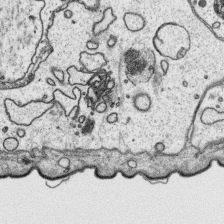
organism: Platynereis dumerilii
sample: Parapodia